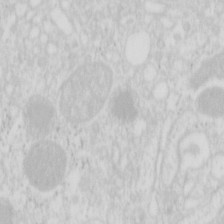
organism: Mouse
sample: Pancreas